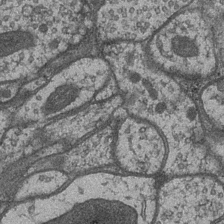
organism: Drosophila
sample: Optic medulla